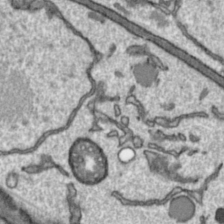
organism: Toxoplasma gondii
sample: Parasites in a vacuole inside a host cell